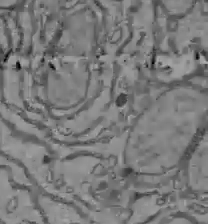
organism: C57BL Mouse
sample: Liver